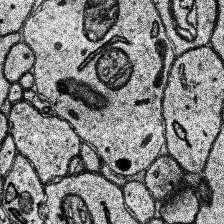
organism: Human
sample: Temporal Lobe